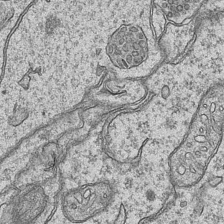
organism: Mouse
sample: CA1 Hippocampus